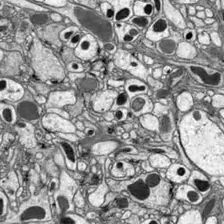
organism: Drosophila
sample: Optic lobe